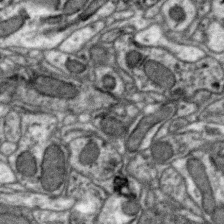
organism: Zebra finch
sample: Brain